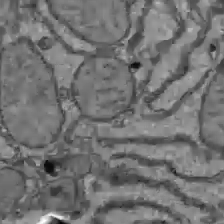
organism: C57BL Mouse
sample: Liver